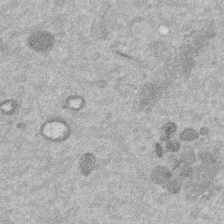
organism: Mouse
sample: Dividing mouse embryo 1 cell stage